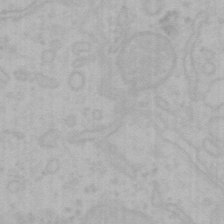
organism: Mouse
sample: Choroid plexus